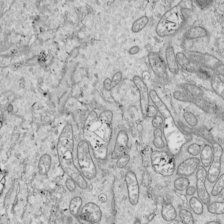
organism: Drosophila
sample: Cell division; meiosis; drosophila spermatocytes